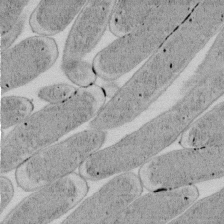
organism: E. coli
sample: Bacterial nucleoid